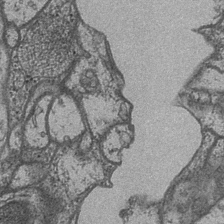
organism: Drosophila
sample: Optic medulla